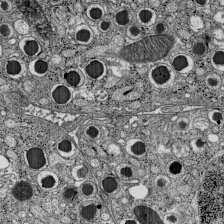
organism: C57BL Mouse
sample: Pancreatic islet